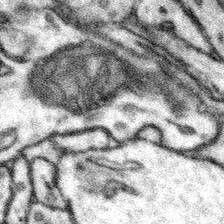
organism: Mouse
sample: Somatosensory cortex neuropil